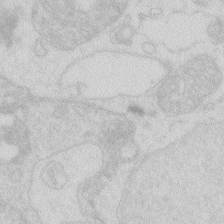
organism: Zebrafish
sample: Macrophage